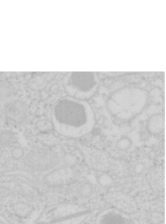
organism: Mouse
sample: Pancreas